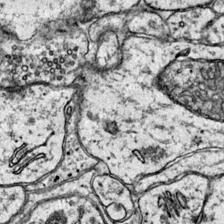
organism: Mouse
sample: Primary visual cortex